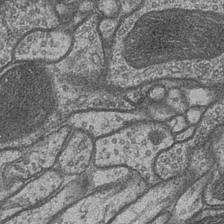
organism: Drosophila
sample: Optic medulla